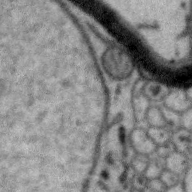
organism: Zebra finch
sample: Brain